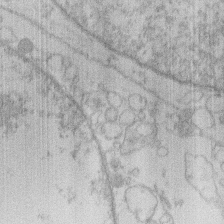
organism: Human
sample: Macrophage cells